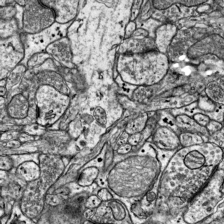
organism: Mouse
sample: Visual Cortex